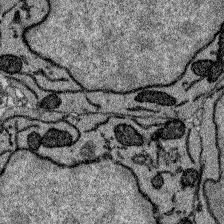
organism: Zebrafish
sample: Larval olfactory bulb